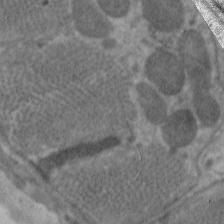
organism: C. elegans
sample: Pharynx